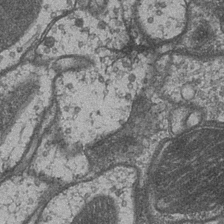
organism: Drosophila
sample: Optic medulla